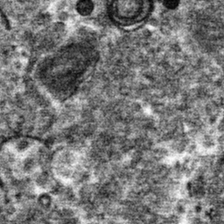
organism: Mouse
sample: Mouse hepatocytes